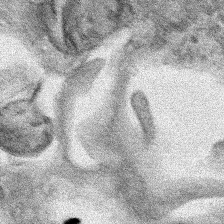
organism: Human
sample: Mitochondria in HCT116 cells